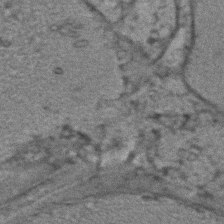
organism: C. elegans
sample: C. elegans embryo